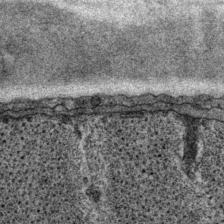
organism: P. pacificus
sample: Pharynx